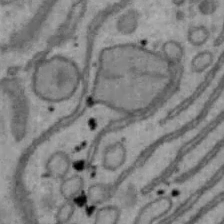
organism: Mouse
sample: Liver